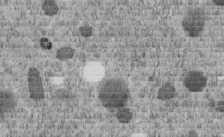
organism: C. elegans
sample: C. elegans embryo early stage